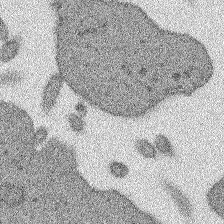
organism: Human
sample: HeLa cells